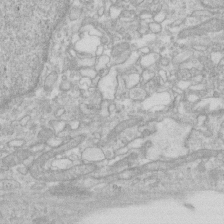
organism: Human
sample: Fibroblast cells